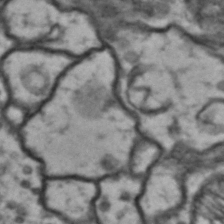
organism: Drosophila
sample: Brain